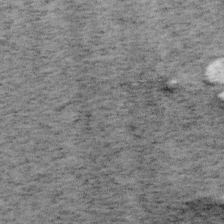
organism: Mouse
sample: OT-I killer T cells with ID8 ovarian cancer cells